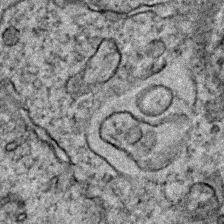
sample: Trachea